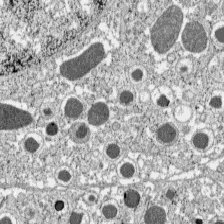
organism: C57BL Mouse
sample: Pancreatic islet